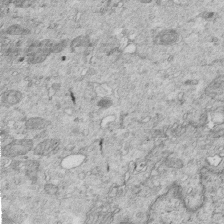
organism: Mouse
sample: Multiciliated cells